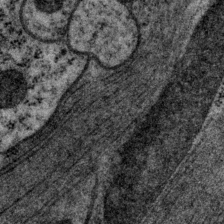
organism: P. pacificus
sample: Pharynx